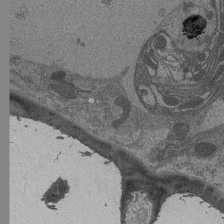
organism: Drosophila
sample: Antenna